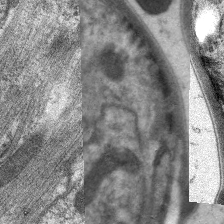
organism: C. elegans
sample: Pharynx